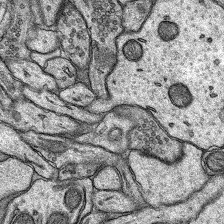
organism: Rat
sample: Hippocampus